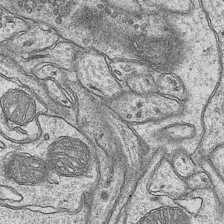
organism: Mouse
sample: CA1 Hippocampus